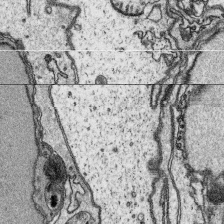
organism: Platynereis dumerilii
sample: Parapodia